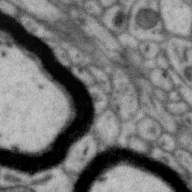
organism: Zebra finch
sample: Brain